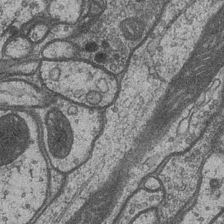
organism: Drosophila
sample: Optic medulla